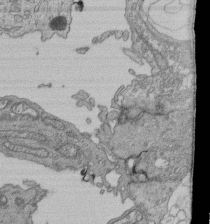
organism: Human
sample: Retinal organoid Rod and Cone cells